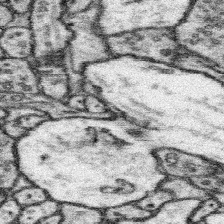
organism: Mouse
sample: Somatosensory cortex neuropil